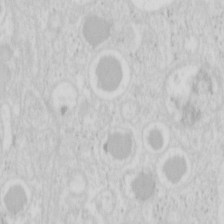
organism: Mouse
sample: Pancreas